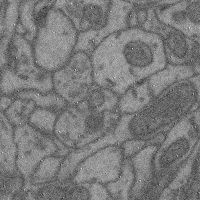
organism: Mouse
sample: Cerebral cortex